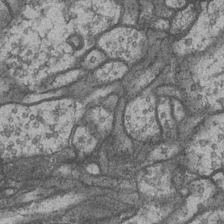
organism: Drosophila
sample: Optic medulla